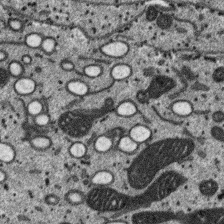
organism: Human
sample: Lung epithelial cells infected with SARS-CoV-2